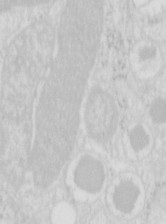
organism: Mouse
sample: Pancreas